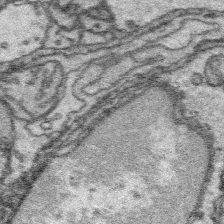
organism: Platynereis dumerilii